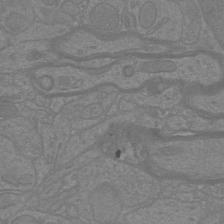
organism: Mouse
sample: Cortical neurons